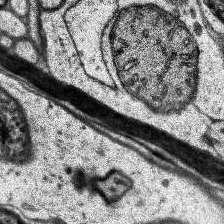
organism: Human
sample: Temporal Lobe